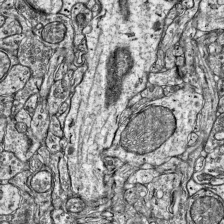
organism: Mouse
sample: Visual Cortex